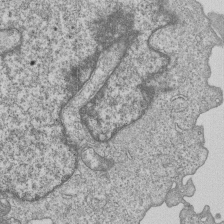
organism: Human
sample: MDA-MB-231 cells